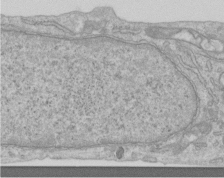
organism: Human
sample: Centriole in RPE cells